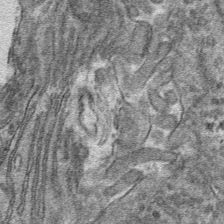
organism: Mouse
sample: Mouse hepatocytes